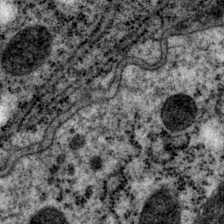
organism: P. pacificus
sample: Pharynx